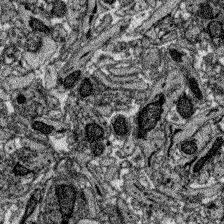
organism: Zebrafish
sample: Larval olfactory bulb